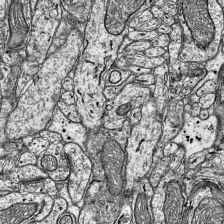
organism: Mouse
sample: Visual Cortex